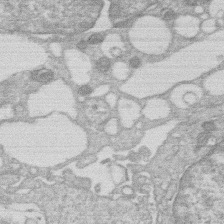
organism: Human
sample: Macrophage cells